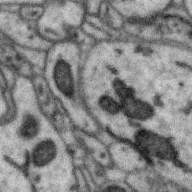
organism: Zebra finch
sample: Brain